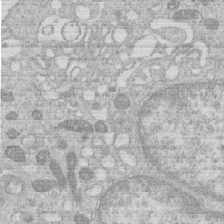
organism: Human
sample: Macrophage cells